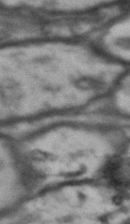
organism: Drosophila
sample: Brain